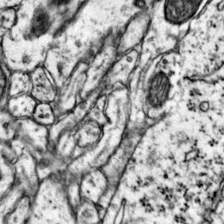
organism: Mouse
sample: Primary visual cortex